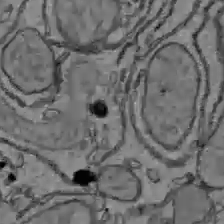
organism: C57BL Mouse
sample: Liver